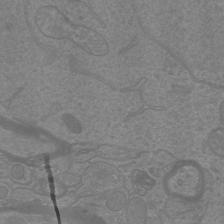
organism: Mouse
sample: Cortical neurons